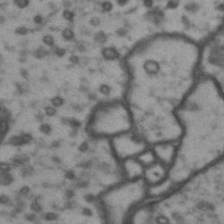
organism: Drosophila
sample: Brain